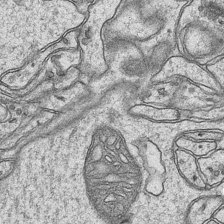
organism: Mouse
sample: CA1 Hippocampus